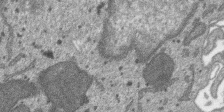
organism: Human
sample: Lung epithelial cells infected with SARS-CoV-2